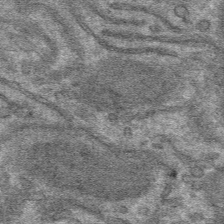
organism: Mouse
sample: Mouse hepatocytes